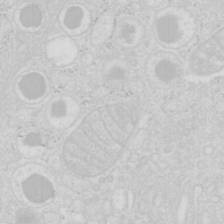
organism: Mouse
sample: Pancreas